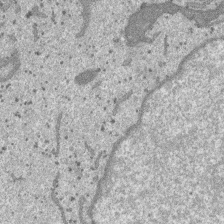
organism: Human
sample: Lung epithelial cells infected with SARS-CoV-2